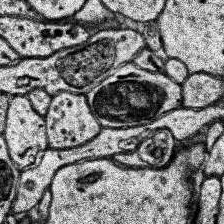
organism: Human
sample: Temporal Lobe